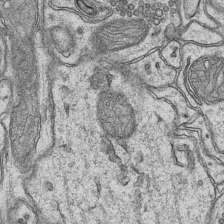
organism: Mouse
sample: CA1 Hippocampus